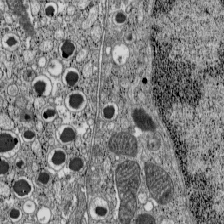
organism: C57BL Mouse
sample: Pancreatic islet